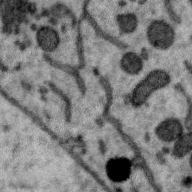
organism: Zebra finch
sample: Brain